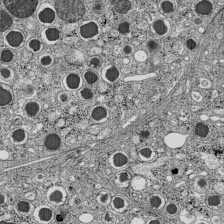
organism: C57BL Mouse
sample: Pancreatic islet